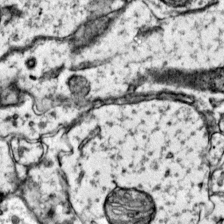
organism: Mouse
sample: Primary visual cortex